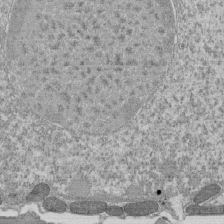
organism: Tetrahymena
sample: Cilia in tetrahymena